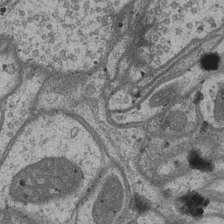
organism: Drosophila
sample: Optic medulla